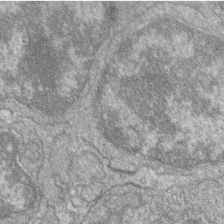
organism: Zebrafish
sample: Cilia; retinal pigment epithelium